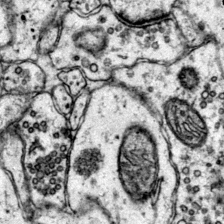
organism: Mouse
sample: Primary visual cortex